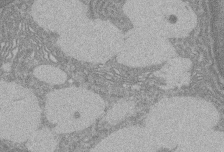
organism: Rat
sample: Salivary granule